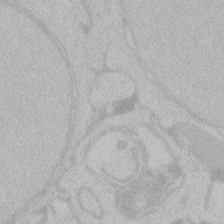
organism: Zebrafish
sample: Macrophage infected with Toxoplasma gondii